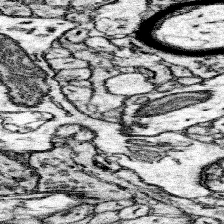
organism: Mouse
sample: Somatosensory cortex neuropil